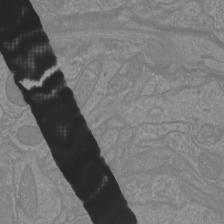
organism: Mouse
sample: Cortical neurons